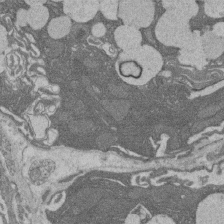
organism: Rat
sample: Salivary granule